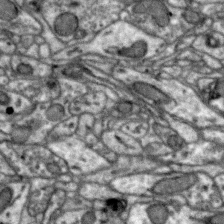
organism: Zebra finch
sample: Brain